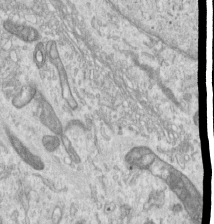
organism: Human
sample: Centriole in RPE cells